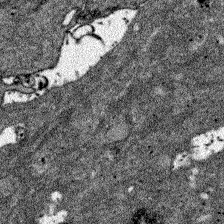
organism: Zebrafish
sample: Larval olfactory bulb